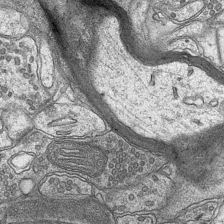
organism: Mouse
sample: CA1 Hippocampus